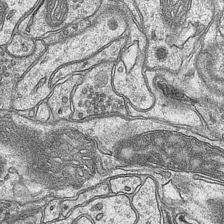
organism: Mouse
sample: CA1 Hippocampus